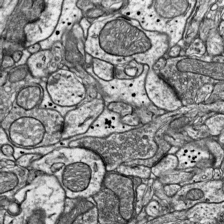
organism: Mouse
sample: Visual Cortex